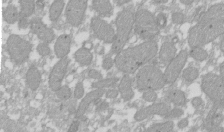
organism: Xenopus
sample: Cilia; centrioles in frog embryo cells